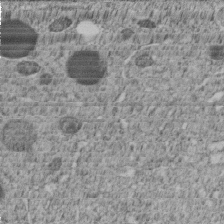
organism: C. elegans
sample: C. elegans embryo early stage